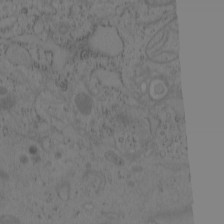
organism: Human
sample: HeLa cells